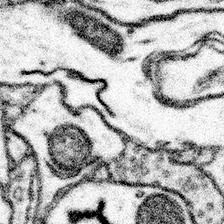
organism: Mouse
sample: Somatosensory cortex neuropil